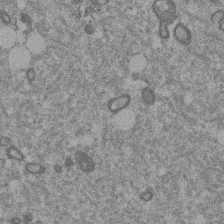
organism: Mouse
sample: Dividing mouse embryo 1 cell stage